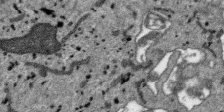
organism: Human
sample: Lung epithelial cells, uninfected (mock) control